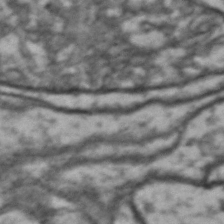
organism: Drosophila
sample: Brain